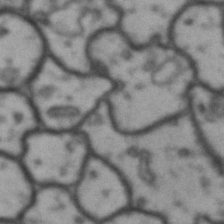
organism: Drosophila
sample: Brain